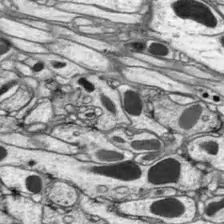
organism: Drosophila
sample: Optic lobe